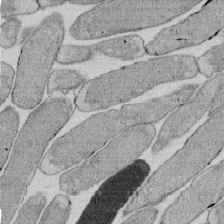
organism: E. coli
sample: Bacterial nucleoid